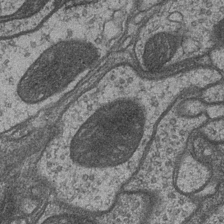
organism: Drosophila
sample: Optic medulla